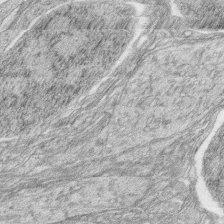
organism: Zebrafish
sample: synaptic ribbons in rod cells and cone cells